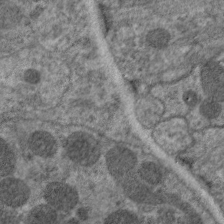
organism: C. elegans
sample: Pharynx